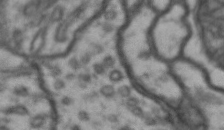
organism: Drosophila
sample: Brain